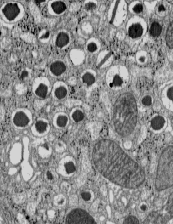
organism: C57BL Mouse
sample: Pancreatic islet